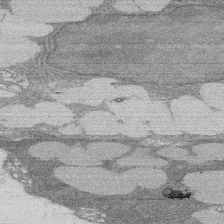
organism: Rat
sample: Salivary granule